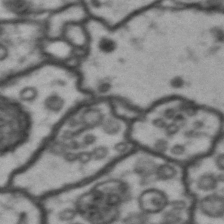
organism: Drosophila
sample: Brain